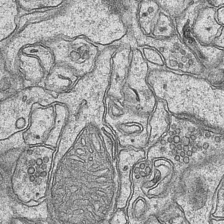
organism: Mouse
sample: CA1 Hippocampus